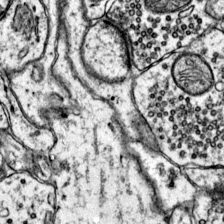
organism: Mouse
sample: Primary visual cortex